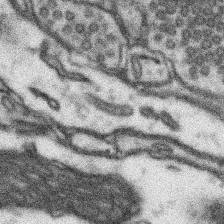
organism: Mouse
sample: Somatosensory cortex neuropil